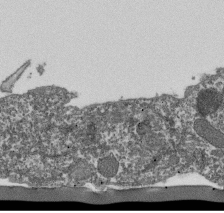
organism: Dictyostelium discoideum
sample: Dictyostelium multivesicular bodies